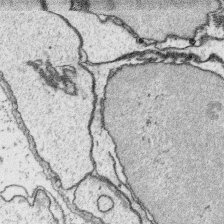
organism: Platynereis dumerilii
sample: Parapodia